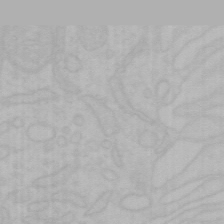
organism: Mouse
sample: Choroid plexus